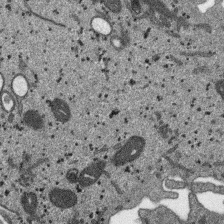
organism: Human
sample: Lung epithelial cells infected with SARS-CoV-2